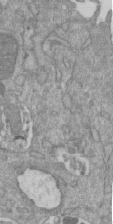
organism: Mouse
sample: ED-1 cell nuclei; centrioles